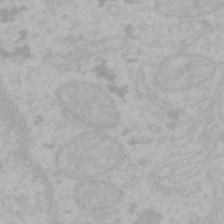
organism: Mouse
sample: Choroid plexus